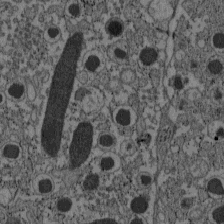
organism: C57BL Mouse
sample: Pancreatic islet